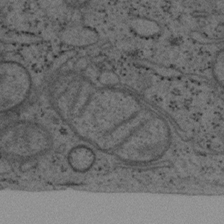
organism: Human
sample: HeLa cells